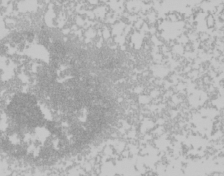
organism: Mouse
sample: Cancer cell death in ED-1 cells